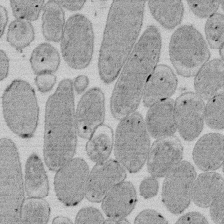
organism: E. coli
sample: Bacterial nucleoid